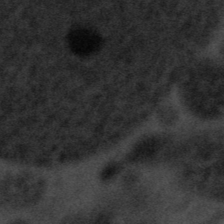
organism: Tuwongella immobilis